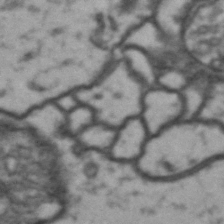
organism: Drosophila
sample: Brain